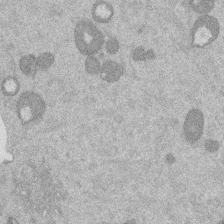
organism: Mouse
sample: Dividing mouse embryo 1 cell stage